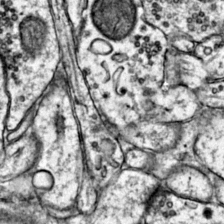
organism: Mouse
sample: Primary visual cortex